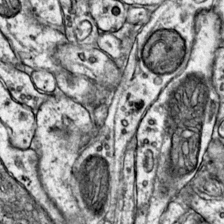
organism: Mouse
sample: Primary visual cortex